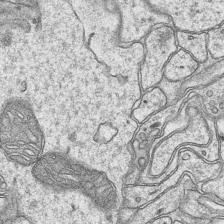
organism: Mouse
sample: CA1 Hippocampus